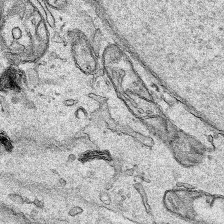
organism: Human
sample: Mitochondria in HCT116 cells